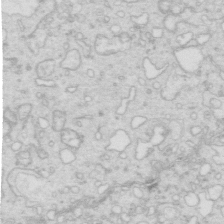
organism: Mouse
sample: Multiciliated cells